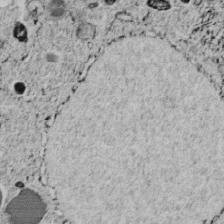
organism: C. elegans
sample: C. elegans embryo early stage